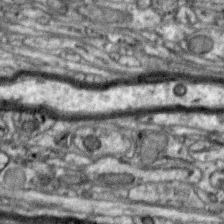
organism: Zebra finch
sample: Brain